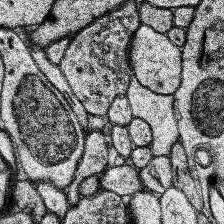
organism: Human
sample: Temporal Lobe